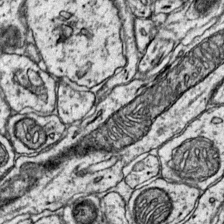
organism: Mouse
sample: Primary visual cortex